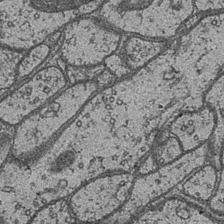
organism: Drosophila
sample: Optic medulla